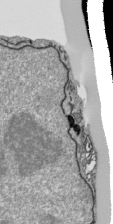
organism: Human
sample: Mitochondria in HCT116 cells